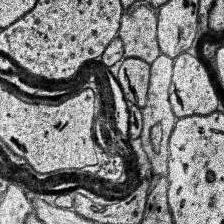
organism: Human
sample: Temporal Lobe